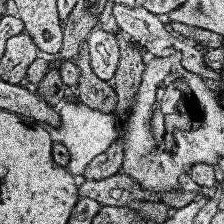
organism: Human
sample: Temporal Lobe